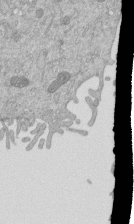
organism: Mouse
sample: ED-1 cell nuclei; centrioles